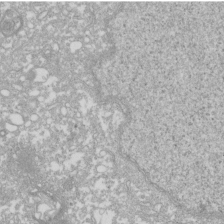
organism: Xenopus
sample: Cilia; centrioles in frog embryo cells